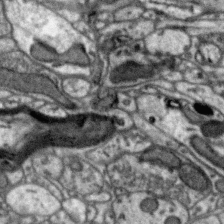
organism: Zebra finch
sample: Brain